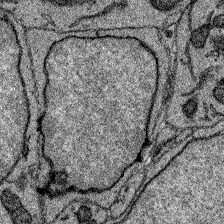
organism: Zebrafish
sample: Larval olfactory bulb